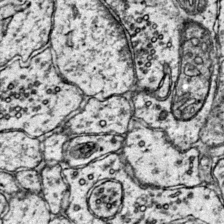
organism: Mouse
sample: Primary visual cortex